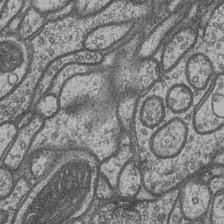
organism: Drosophila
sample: Optic medulla